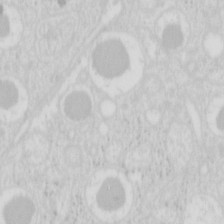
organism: Mouse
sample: Pancreas